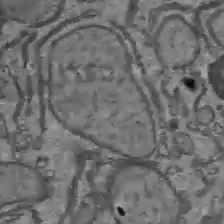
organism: C57BL Mouse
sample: Liver